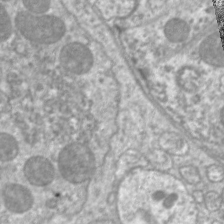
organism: C. elegans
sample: Pharynx